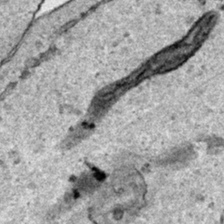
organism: Human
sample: Mitochondria in HCT116 cells